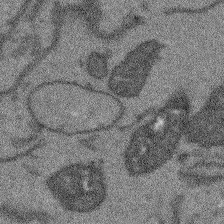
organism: Arabidopsis thaliana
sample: Root tip